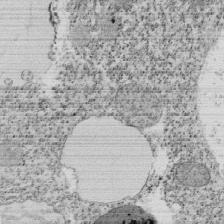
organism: Tetrahymena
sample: Cilia in tetrahymena